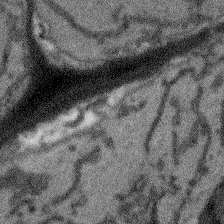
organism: Arabidopsis thaliana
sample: Root tip